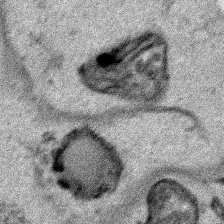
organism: Human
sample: Mitochondria in HCT116 cells